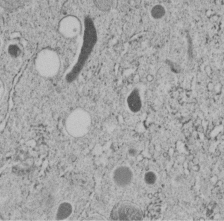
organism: C. elegans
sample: C. elegans embryo early stage